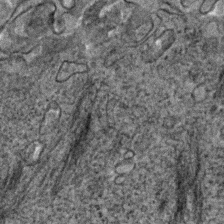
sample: Trachea